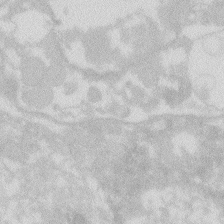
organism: Zebrafish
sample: Macrophage